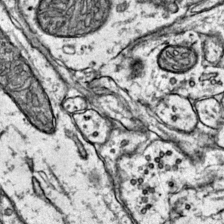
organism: Mouse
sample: Primary visual cortex